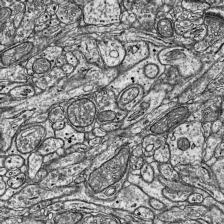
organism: Mouse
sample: Visual Cortex